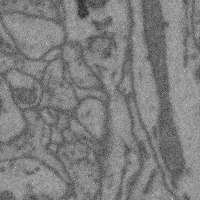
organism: Mouse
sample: Cerebral cortex